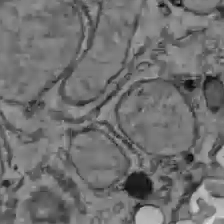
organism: C57BL Mouse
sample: Liver